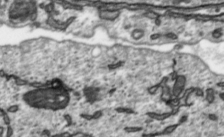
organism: Toxoplasma gondii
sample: Parasites in a vacuole inside a host cell